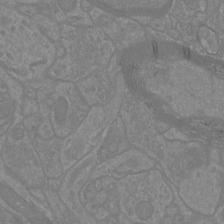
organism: Mouse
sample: Cortical neurons